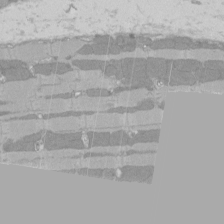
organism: Rat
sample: Left ventricle